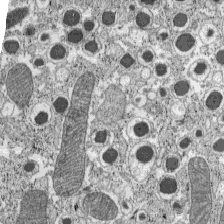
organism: C57BL Mouse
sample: Pancreatic islet